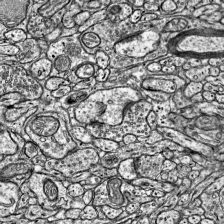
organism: Mouse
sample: Visual Cortex